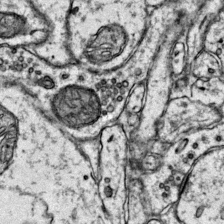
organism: Mouse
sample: Primary visual cortex